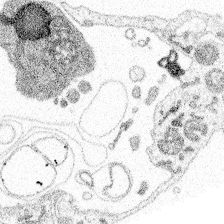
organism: Spongilla lacustris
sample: Multiple